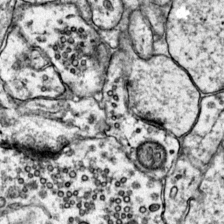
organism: Mouse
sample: Primary visual cortex